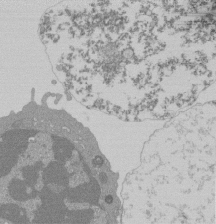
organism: Mouse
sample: Activated Pmel transgenic CD8+ T Cells